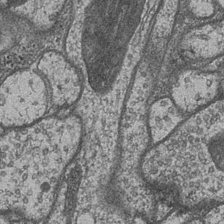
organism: Drosophila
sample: Optic medulla